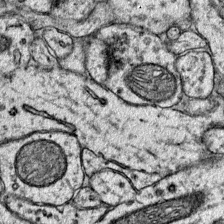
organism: Mouse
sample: Primary visual cortex